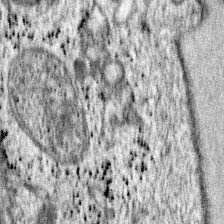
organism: Human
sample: HeLa cells